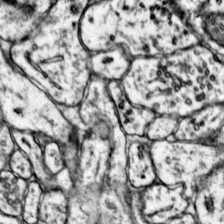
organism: Mouse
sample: Primary visual cortex